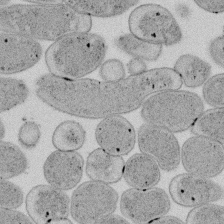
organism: E. coli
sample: Bacterial nucleoid